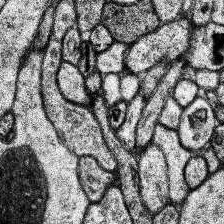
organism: Human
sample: Temporal Lobe